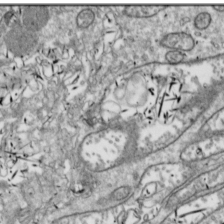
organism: Drosophila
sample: Cell division; meiosis; drosophila spermatocytes